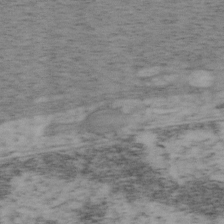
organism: Mouse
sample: OT-I killer T cells with ID8 ovarian cancer cells